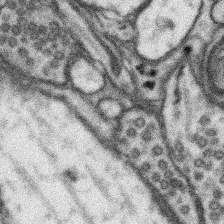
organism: Mouse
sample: Somatosensory cortex neuropil